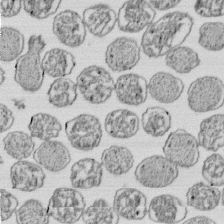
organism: E. coli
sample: Bacterial nucleoid